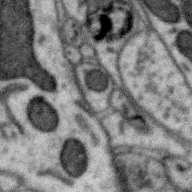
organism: Zebra finch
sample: Brain